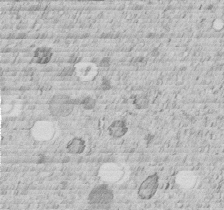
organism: C. elegans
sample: C. elegans embryo early stage